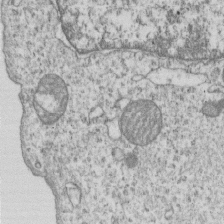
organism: Human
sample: MDA-MB-231 cells